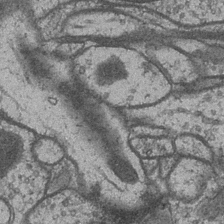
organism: Drosophila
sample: Optic medulla